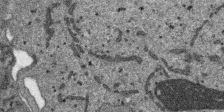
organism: Human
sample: Lung epithelial cells infected with SARS-CoV-2